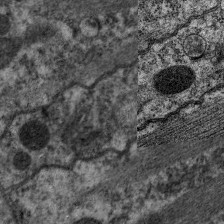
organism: C. elegans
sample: Pharynx